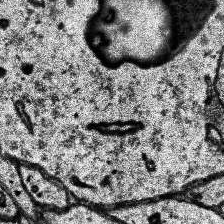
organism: Human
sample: Temporal Lobe